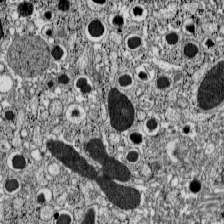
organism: C57BL Mouse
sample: Pancreatic islet